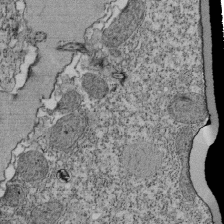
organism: Tetrahymena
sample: Cilia in tetrahymena